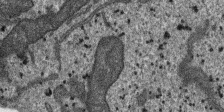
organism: Human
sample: Lung epithelial cells infected with SARS-CoV-2